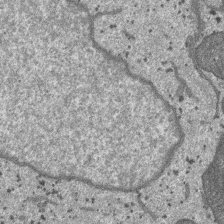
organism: Human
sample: Lung epithelial cells infected with SARS-CoV-2